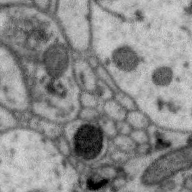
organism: Zebra finch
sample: Brain